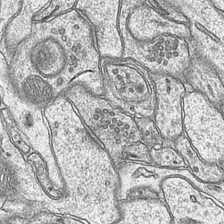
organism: Mouse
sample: CA1 Hippocampus